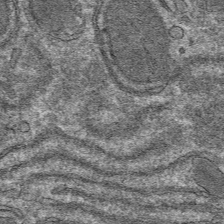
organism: Mouse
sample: Mouse hepatocytes